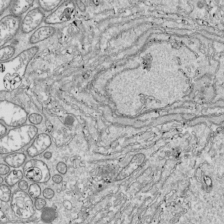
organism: Drosophila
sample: Cell division; meiosis; drosophila spermatocytes